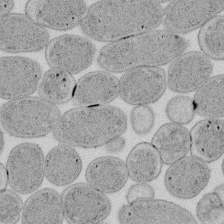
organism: E. coli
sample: Bacterial nucleoid